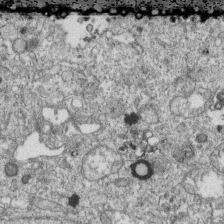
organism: Human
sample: HeLa cell HIV synapse